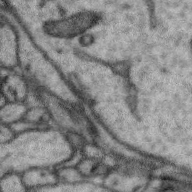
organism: Zebra finch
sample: Brain